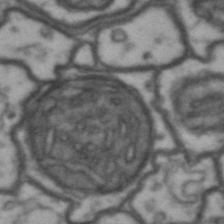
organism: Drosophila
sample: Brain